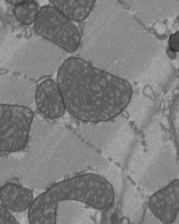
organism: C57BL Mouse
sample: Heart